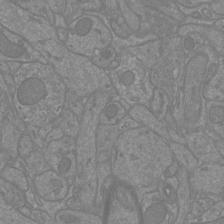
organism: Mouse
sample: Cortical neurons